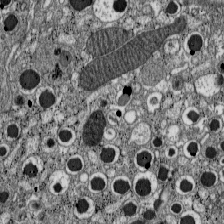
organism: C57BL Mouse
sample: Pancreatic islet